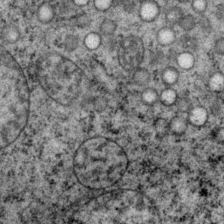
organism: P. pacificus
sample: Pharynx